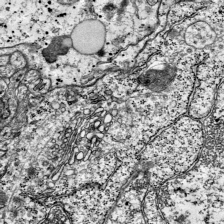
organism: Mouse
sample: Visual Cortex